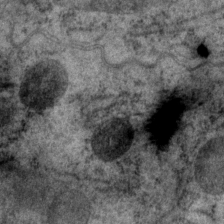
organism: P. pacificus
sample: Pharynx